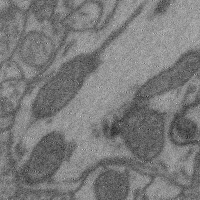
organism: Mouse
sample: Cerebral cortex